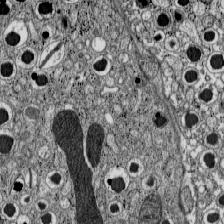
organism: C57BL Mouse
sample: Pancreatic islet